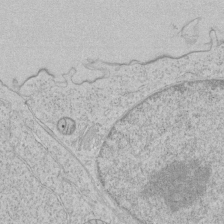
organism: Human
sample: Mitochondria in HCT116 cells